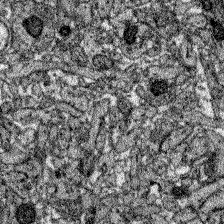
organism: Zebrafish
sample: Larval olfactory bulb